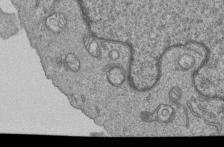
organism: Human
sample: MDA-MB-231 cells